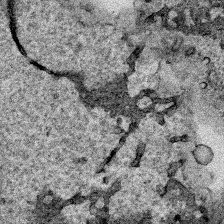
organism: Human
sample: Mitochondria in HCT116 cells